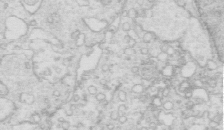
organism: Mouse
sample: Multiciliated cells